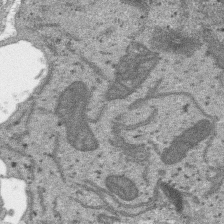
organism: Human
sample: Lung epithelial cells infected with SARS-CoV-2